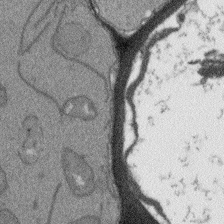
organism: Arabidopsis thaliana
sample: Root tip